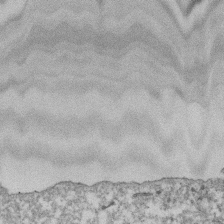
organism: Dictyostelium discoideum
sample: Dictyostelium multivesicular bodies